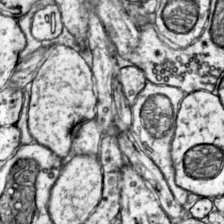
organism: Mouse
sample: Primary visual cortex